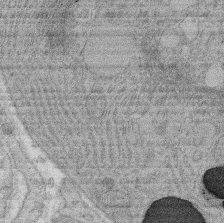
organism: Rat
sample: Salivary granule